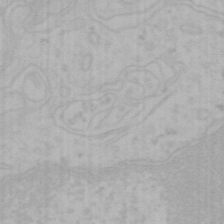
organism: Mouse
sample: Choroid plexus